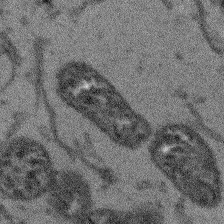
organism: Arabidopsis thaliana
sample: Root tip